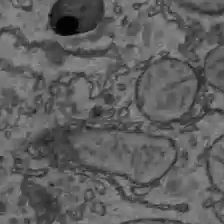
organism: C57BL Mouse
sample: Liver